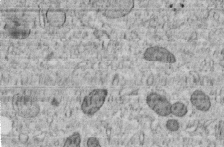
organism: C. elegans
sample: C. elegans embryo early stage